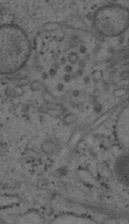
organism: Human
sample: HeLa cells